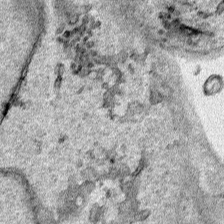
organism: Human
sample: Mitochondria in HCT116 cells